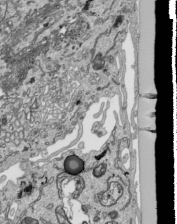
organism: Human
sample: Mitochondria in HCT116 cells